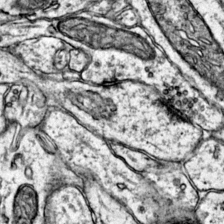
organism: Mouse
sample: Primary visual cortex